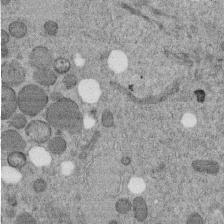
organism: C. elegans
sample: C. elegans embryo early stage